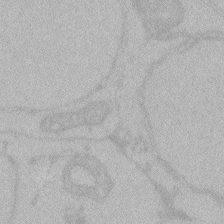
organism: Zebrafish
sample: Macrophage infected with Toxoplasma gondii